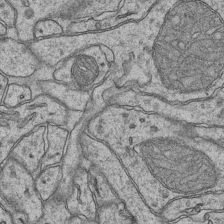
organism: Mouse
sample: CA1 Hippocampus